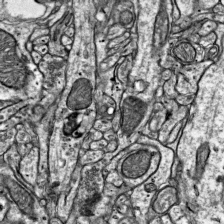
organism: Mouse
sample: Visual Cortex